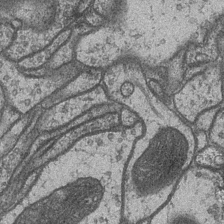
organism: Drosophila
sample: Optic medulla